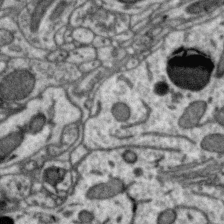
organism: Zebra finch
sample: Brain